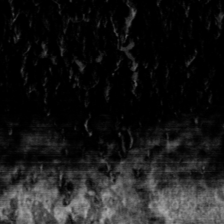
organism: Toxoplasma gondii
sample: Parasites in a vacuole inside a host cell